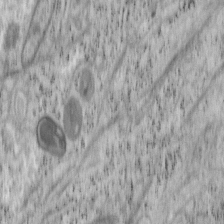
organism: Human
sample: HeLa cells